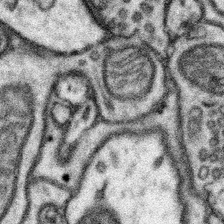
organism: Mouse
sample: Somatosensory cortex neuropil